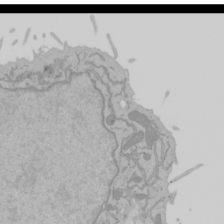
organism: Mouse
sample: Cancer cell death in ED-1 cells